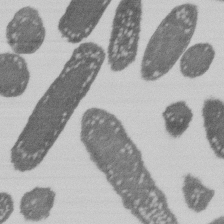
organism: E. coli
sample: Bacterial nucleoid